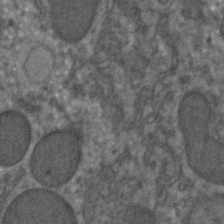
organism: C. elegans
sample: C. elegans embryo